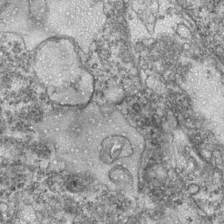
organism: Zebrafish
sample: Zebrafish embryo